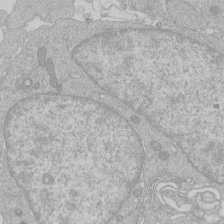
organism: Human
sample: Macrophage cells